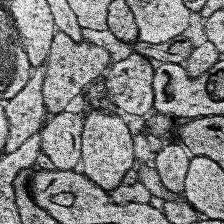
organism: Human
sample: Temporal Lobe